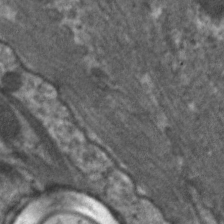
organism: C. elegans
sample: Pharynx